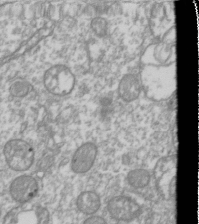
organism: Drosophila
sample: Cell division; meiosis; drosophila spermatocytes